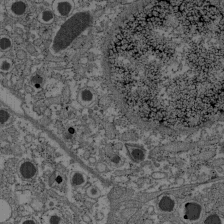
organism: C57BL Mouse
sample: Pancreatic islet